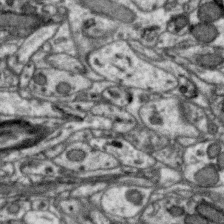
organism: Zebra finch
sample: Brain